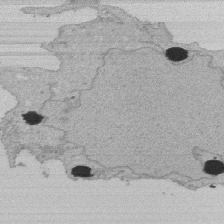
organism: Human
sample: Activated Jurkat CD4+ T cells